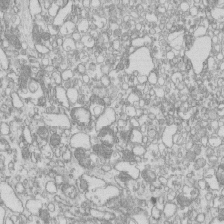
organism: Mouse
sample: Macrophages